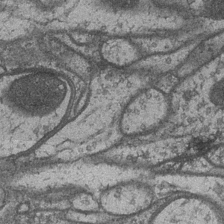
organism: Drosophila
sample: Optic medulla